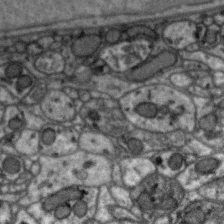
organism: Zebra finch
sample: Brain